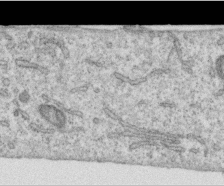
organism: Human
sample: Centriole in RPE cells